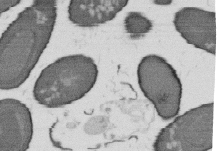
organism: B. subtilis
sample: Bacterial spore